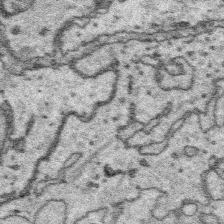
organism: Platynereis dumerilii